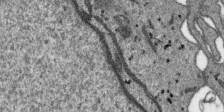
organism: Human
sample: Lung epithelial cells, uninfected (mock) control